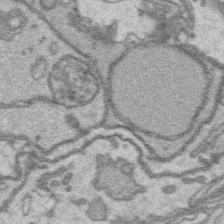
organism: Platynereis dumerilii